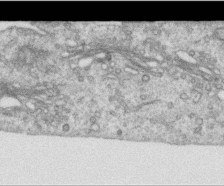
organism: Human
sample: Centriole in RPE cells